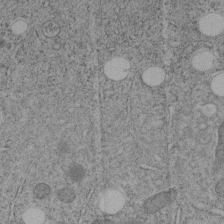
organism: C. elegans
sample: C. elegans embryo early stage